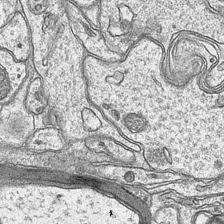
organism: Mouse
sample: CA1 Hippocampus